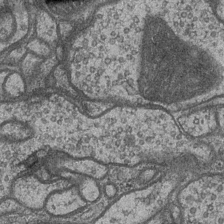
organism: Drosophila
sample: Optic medulla